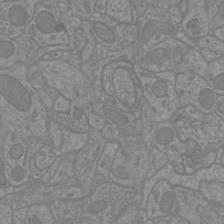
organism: Mouse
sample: Cortical neurons